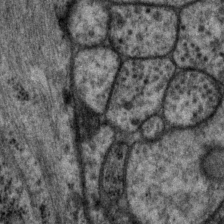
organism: P. pacificus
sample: Pharynx